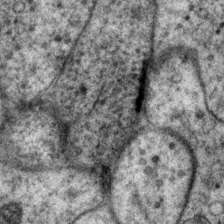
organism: P. pacificus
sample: Pharynx